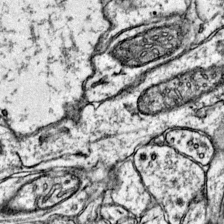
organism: Mouse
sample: Primary visual cortex